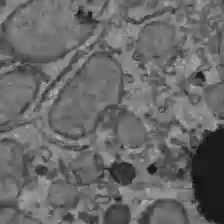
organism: C57BL Mouse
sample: Liver